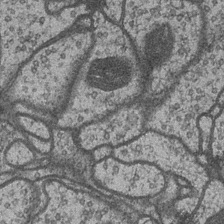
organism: Drosophila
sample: Optic medulla